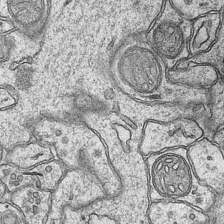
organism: Mouse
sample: CA1 Hippocampus